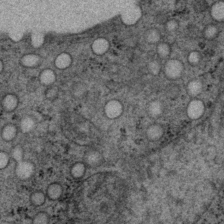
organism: P. pacificus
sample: Pharynx